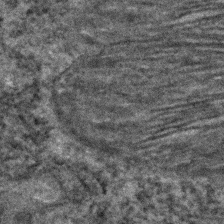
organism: C. elegans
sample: C. elegans embryo